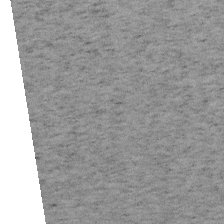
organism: Mouse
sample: OT-I killer T cells with ID8 ovarian cancer cells